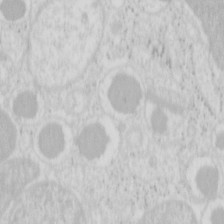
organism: Mouse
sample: Pancreas